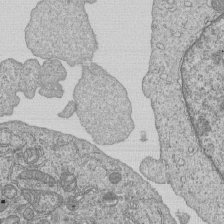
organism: Human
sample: MDA-MB-231 cells